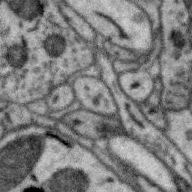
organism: Zebra finch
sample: Brain